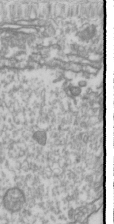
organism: Drosophila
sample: Cell division; meiosis; drosophila spermatocytes